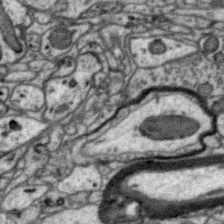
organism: Zebra finch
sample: Brain